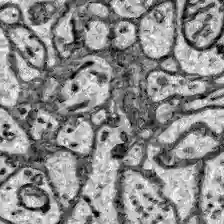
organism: Zebrafish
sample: Brain